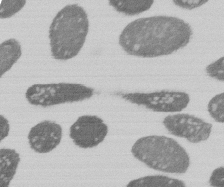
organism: E. coli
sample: Bacterial nucleoid